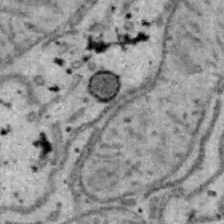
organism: Mouse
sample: Liver from an obese (ob/ob) mouse